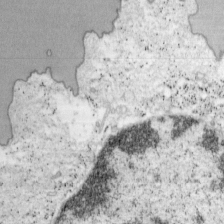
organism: Mouse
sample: OT-I killer T cells with ID8 ovarian cancer cells